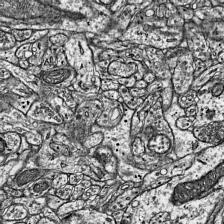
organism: Mouse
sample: Visual Cortex